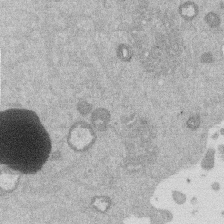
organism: Mouse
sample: Dividing mouse embryo 1 cell stage